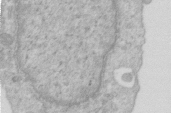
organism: Human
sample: Centriole in RPE cells